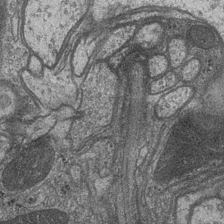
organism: Drosophila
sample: Optic medulla